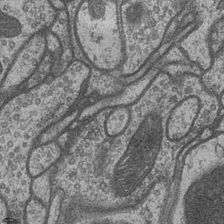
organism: Drosophila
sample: Optic medulla